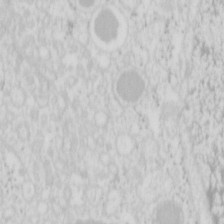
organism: Mouse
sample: Pancreas